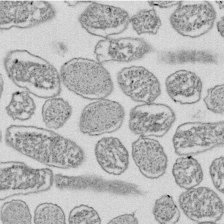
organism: E. coli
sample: Bacterial nucleoid